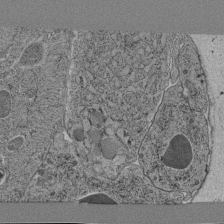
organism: C. elegans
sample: C. elegans pharynx